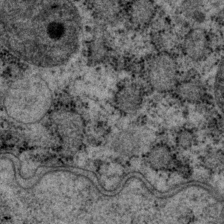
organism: P. pacificus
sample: Pharynx